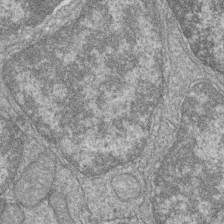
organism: Zebrafish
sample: Cilia; retinal pigment epithelium